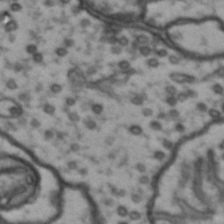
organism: Drosophila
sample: Brain